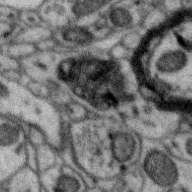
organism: Zebra finch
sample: Brain